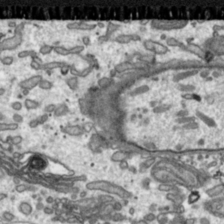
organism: Toxoplasma gondii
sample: Parasites in a vacuole inside a host cell